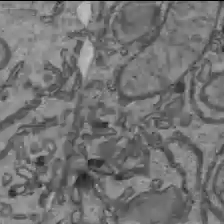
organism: C57BL Mouse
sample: Liver